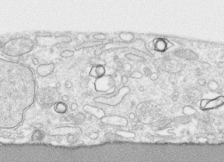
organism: Human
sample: CRL-1474